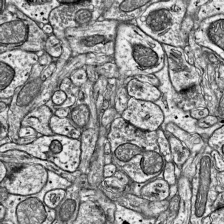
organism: Mouse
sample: Visual Cortex